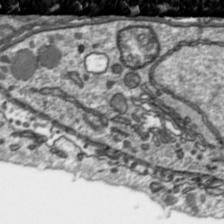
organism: Toxoplasma gondii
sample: Parasites in a vacuole inside a host cell